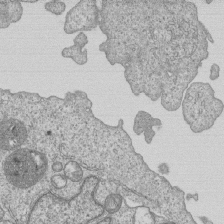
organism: Human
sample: MDA-MB-231 cells